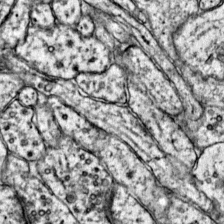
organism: Mouse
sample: Primary visual cortex